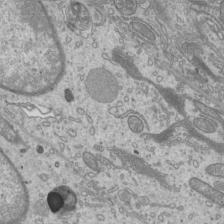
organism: Mouse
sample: Cilia; mouse epididymis